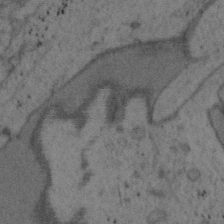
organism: Human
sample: HeLa cells